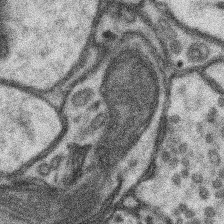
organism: Mouse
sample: Somatosensory cortex neuropil